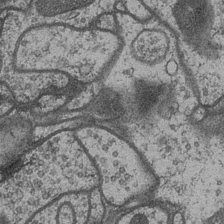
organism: Drosophila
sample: Optic medulla